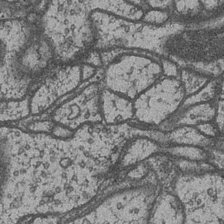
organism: Drosophila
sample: Optic medulla